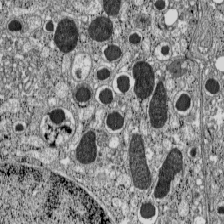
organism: C57BL Mouse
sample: Pancreatic islet